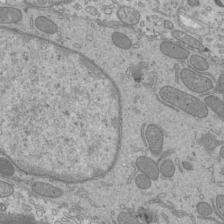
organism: Mouse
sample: Cilia; mouse epididymis